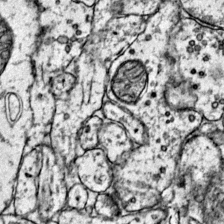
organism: Mouse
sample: Primary visual cortex